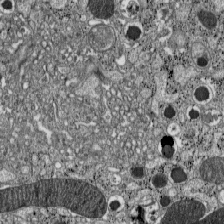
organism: C57BL Mouse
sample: Pancreatic islet